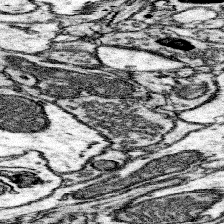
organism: Mouse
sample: Somatosensory cortex neuropil